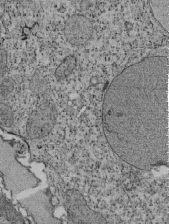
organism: Tetrahymena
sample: Cilia in tetrahymena